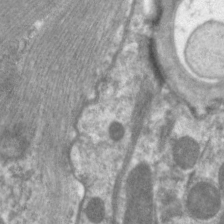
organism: C. elegans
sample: Pharynx